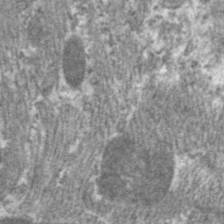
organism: C. elegans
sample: Pharynx